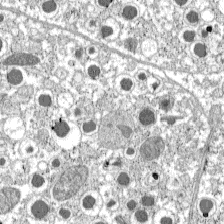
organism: C57BL Mouse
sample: Pancreatic islet